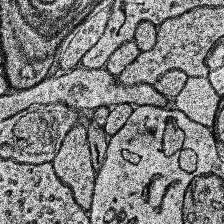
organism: Human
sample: Temporal Lobe